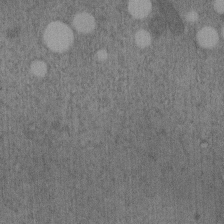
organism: C. elegans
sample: C. elegans embryo early stage